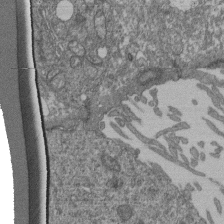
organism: Human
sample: Retinal organoid Rod and Cone cells